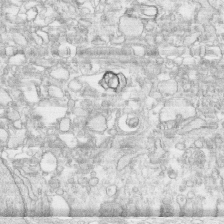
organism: Human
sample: CRL-1474